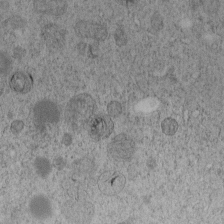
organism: C. elegans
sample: C. elegans embryo early stage